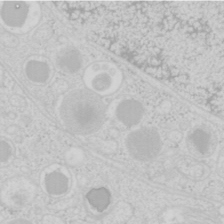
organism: Mouse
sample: Pancreas